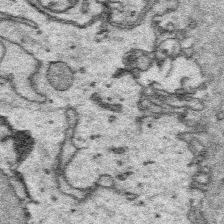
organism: Platynereis dumerilii